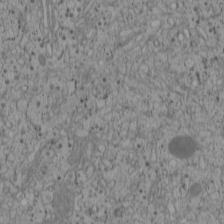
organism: African green monkey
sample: COS-7 cells